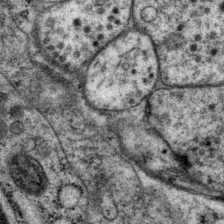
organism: P. pacificus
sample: Pharynx